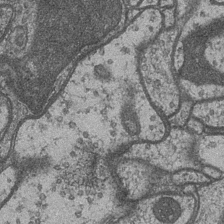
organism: Drosophila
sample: Optic medulla